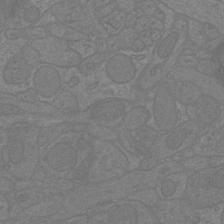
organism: Mouse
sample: Cortical neurons